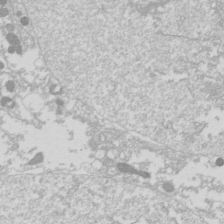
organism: Drosophila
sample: Cell division; meiosis; drosophila spermatocytes